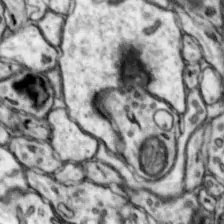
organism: Mouse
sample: Nucleus accumbens